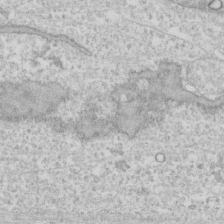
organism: Human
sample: CRL-1474